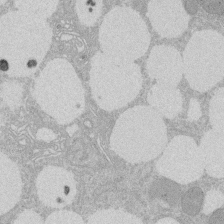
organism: Rat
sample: Salivary granule